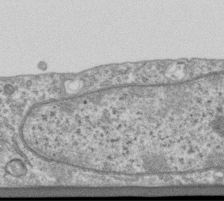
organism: Human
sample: Centriole in RPE cells